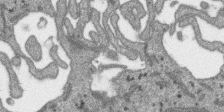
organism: Human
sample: Lung epithelial cells infected with SARS-CoV-2